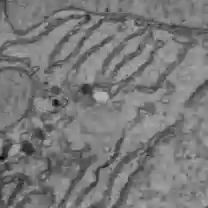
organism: C57BL Mouse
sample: Liver